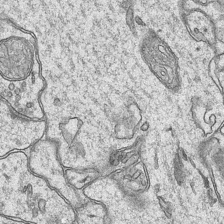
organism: Mouse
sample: CA1 Hippocampus